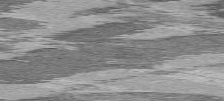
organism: C57BL Mouse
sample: Heart